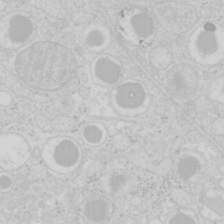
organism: Mouse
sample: Pancreas